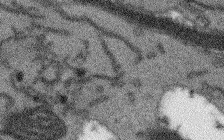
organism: Arabidopsis thaliana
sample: Root tip